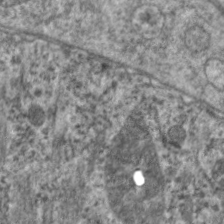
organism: C. elegans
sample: Pharynx